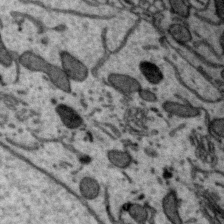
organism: Zebra finch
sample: Brain